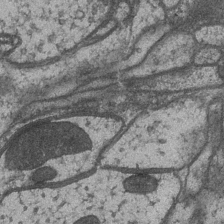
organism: Drosophila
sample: Optic medulla